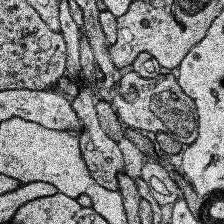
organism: Human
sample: Temporal Lobe